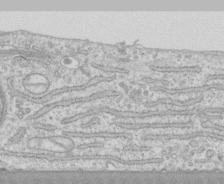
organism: Human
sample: CRL-1474